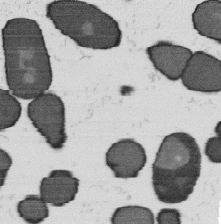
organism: B. subtilis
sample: Bacterial spore